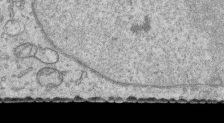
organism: Human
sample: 1205lu cells